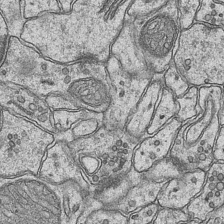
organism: Mouse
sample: CA1 Hippocampus